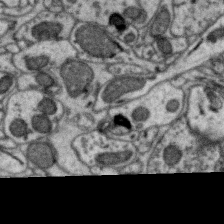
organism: Zebra finch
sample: Brain